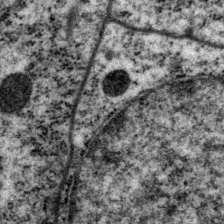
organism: P. pacificus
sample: Pharynx